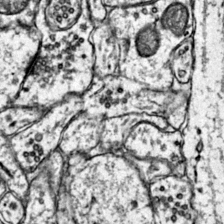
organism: Mouse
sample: Primary visual cortex